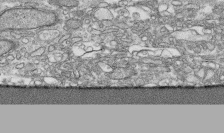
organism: Human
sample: CRL-1474